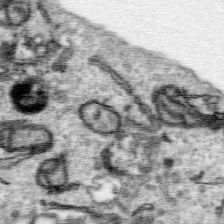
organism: Human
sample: HeLa cells